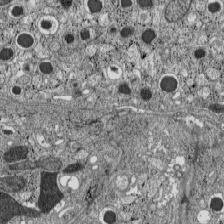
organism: C57BL Mouse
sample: Pancreatic islet